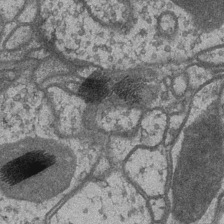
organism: Drosophila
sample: Optic medulla